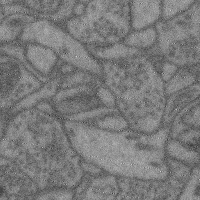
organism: Mouse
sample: Cerebral cortex